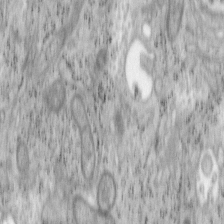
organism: Human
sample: HeLa cells